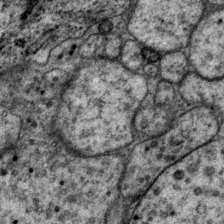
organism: P. pacificus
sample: Pharynx